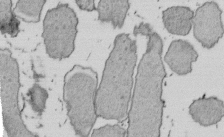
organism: E. coli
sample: Bacterial nucleoid